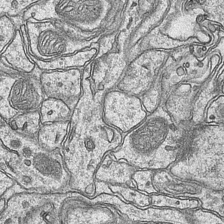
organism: Mouse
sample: CA1 Hippocampus